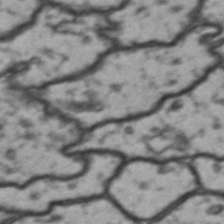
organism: Drosophila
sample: Brain